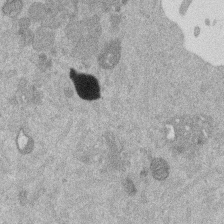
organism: Mouse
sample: Dividing mouse embryo 1 cell stage